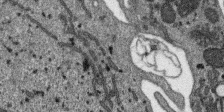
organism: Human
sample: Lung epithelial cells infected with SARS-CoV-2